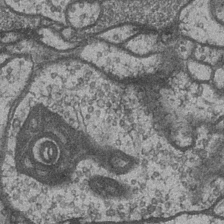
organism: Drosophila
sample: Optic medulla